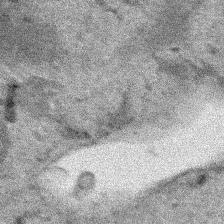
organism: Human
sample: Mitochondria in HCT116 cells